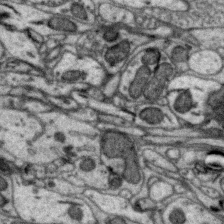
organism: Zebra finch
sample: Brain